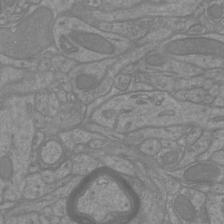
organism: Mouse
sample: Cortical neurons